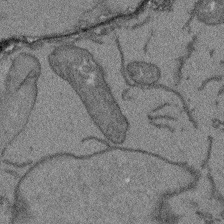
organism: Arabidopsis thaliana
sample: Root tip